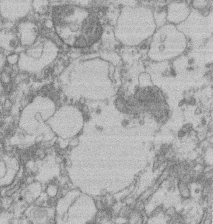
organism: Mouse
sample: T cell stromal cell synapse